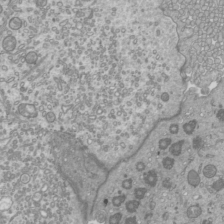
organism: Mouse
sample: Cilia; mouse epididymis